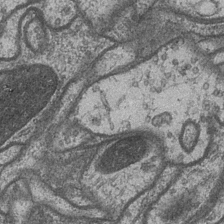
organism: Drosophila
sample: Optic medulla